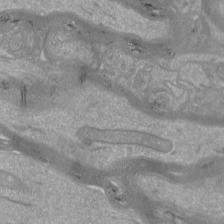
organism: Mouse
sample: Cortical neurons